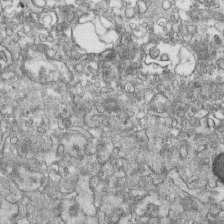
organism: Human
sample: CRL-1474